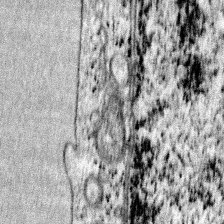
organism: Human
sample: HeLa cells